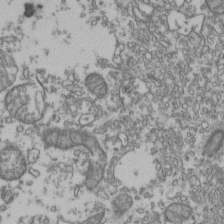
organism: Human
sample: Activated Jurkat CD4+ T cells